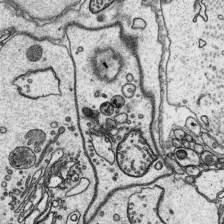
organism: Platynereis dumerilii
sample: Parapodia